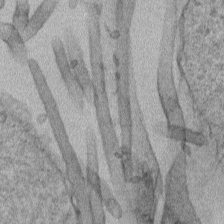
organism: Human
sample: Mitochondria in HCT116 cells